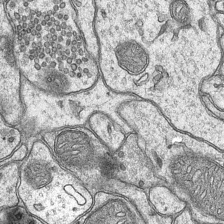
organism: Mouse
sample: CA1 Hippocampus